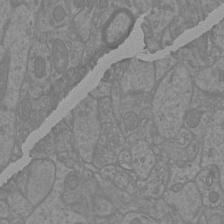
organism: Mouse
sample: Cortical neurons